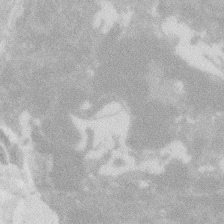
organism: Zebrafish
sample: Macrophage